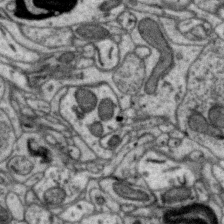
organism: Zebra finch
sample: Brain